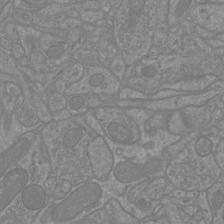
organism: Mouse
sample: Cortical neurons